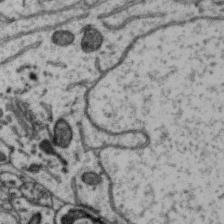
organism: Zebra finch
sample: Brain